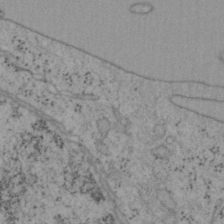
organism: Human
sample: HeLa cells